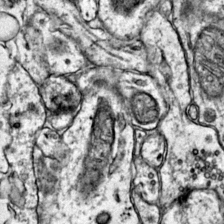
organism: Mouse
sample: Primary visual cortex